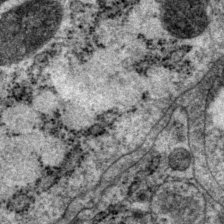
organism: P. pacificus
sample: Pharynx